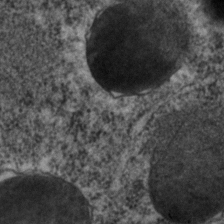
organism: C. elegans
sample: C. elegans embryo